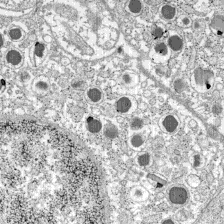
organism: C57BL Mouse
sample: Pancreatic islet